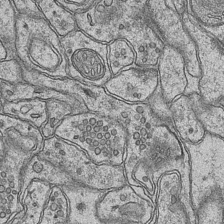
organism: Mouse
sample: CA1 Hippocampus